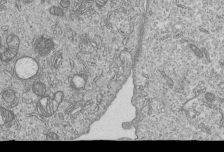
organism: Human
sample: MDA-MB-231 cells